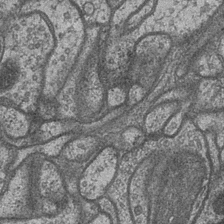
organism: Drosophila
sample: Optic medulla